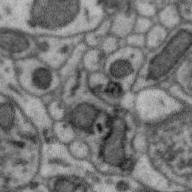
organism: Zebra finch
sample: Brain